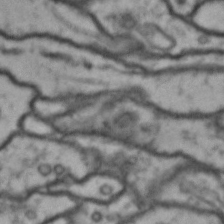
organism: Drosophila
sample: Brain